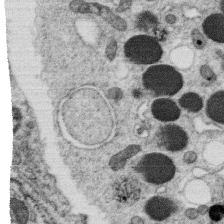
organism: C. elegans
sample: C. elegans oocyte; sperm cells